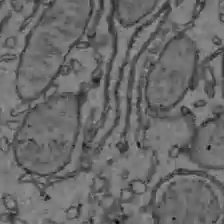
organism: C57BL Mouse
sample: Liver